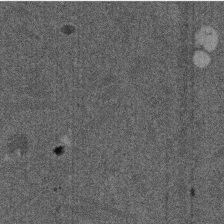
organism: Mouse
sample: Dividing mouse embryo 1 cell stage